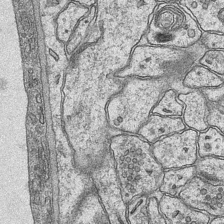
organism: Mouse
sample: CA1 Hippocampus